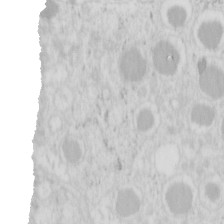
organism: Mouse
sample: Pancreas